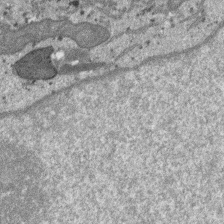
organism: Human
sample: Lung epithelial cells infected with SARS-CoV-2